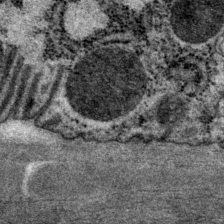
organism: P. pacificus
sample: Pharynx